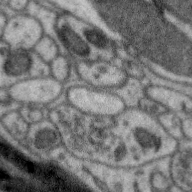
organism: Zebra finch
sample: Brain